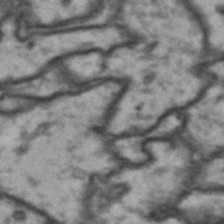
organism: Drosophila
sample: Brain